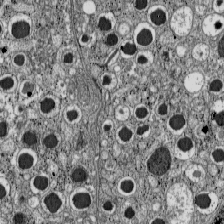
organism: C57BL Mouse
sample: Pancreatic islet